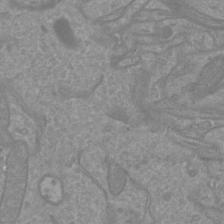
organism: Mouse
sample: Cortical neurons